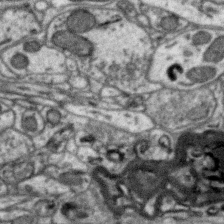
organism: Zebra finch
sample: Brain